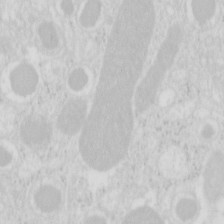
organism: Mouse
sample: Pancreas